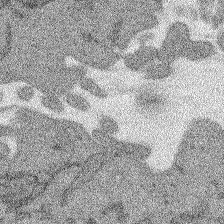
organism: Human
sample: HeLa cells